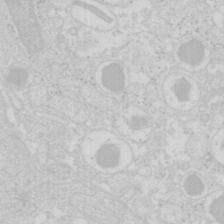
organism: Mouse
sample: Pancreas